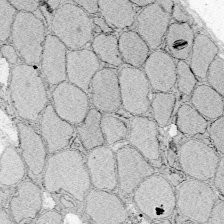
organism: Zebrafish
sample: Whole-Brain